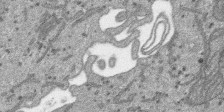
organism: Human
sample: Lung epithelial cells infected with SARS-CoV-2